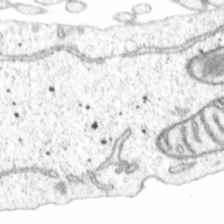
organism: Human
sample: HeLa cells